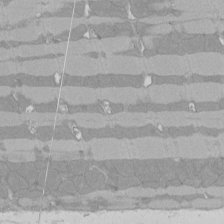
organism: Rat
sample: Left ventricle